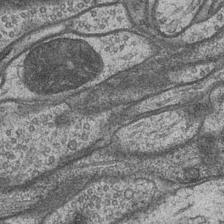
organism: Drosophila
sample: Optic medulla